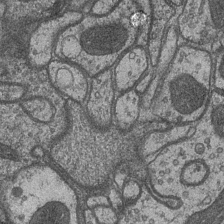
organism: Drosophila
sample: Optic medulla